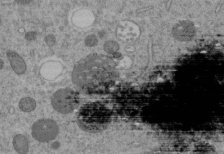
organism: C. elegans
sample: C. elegans embryo early stage